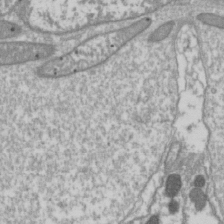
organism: Drosophila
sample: Cell division; meiosis; drosophila spermatocytes